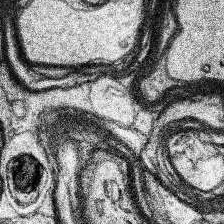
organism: Human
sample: Temporal Lobe